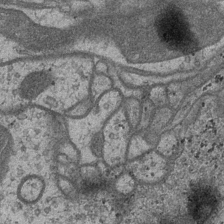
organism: Drosophila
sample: Optic medulla